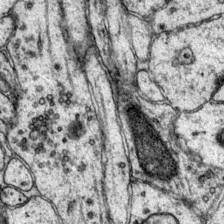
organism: Mouse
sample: Primary visual cortex